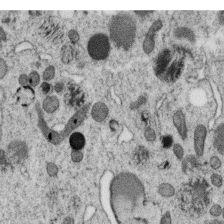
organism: C. elegans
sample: C. elegans oocyte; sperm cells